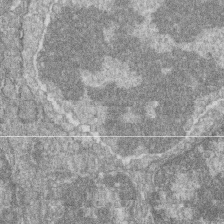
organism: Zebrafish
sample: Cilia; retinal pigment epithelium